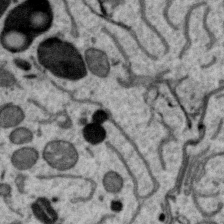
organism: Zebra finch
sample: Brain